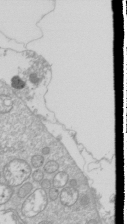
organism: Drosophila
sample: Cell division; meiosis; drosophila spermatocytes